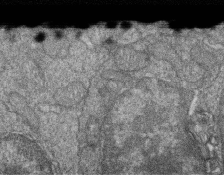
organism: Zebrafish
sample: Cilia; retinal pigment epithelium